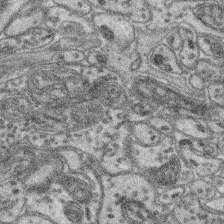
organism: Mouse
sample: Retina